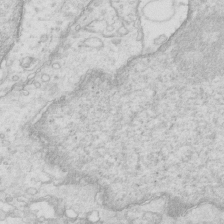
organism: Mouse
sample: Multiciliated cells